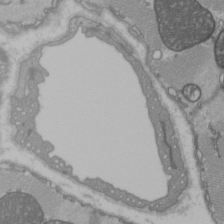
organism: C57BL Mouse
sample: Heart